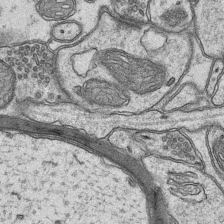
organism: Mouse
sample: CA1 Hippocampus